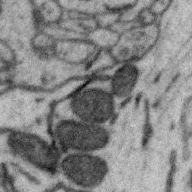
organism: Zebra finch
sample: Brain